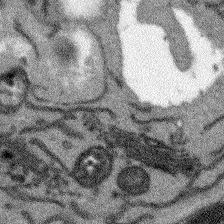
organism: Arabidopsis thaliana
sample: Root tip